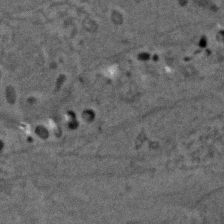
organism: Zebrafish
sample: Zebrafish embryo